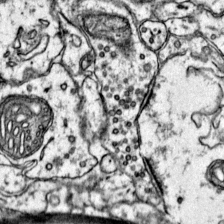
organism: Mouse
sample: Primary visual cortex